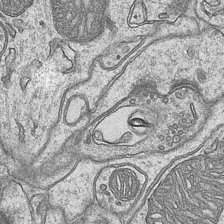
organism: Mouse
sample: CA1 Hippocampus